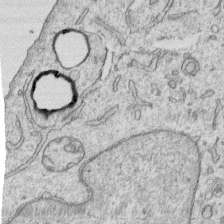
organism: Human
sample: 1205lu cells